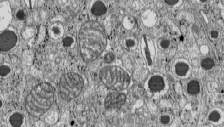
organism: C57BL Mouse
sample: Pancreatic islet